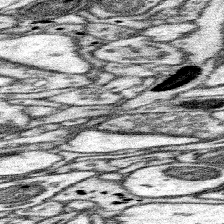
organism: Mouse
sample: Somatosensory cortex neuropil